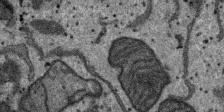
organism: Human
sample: Lung epithelial cells, uninfected (mock) control